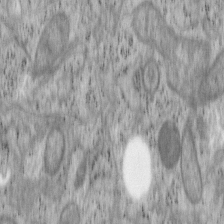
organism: Human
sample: HeLa cells